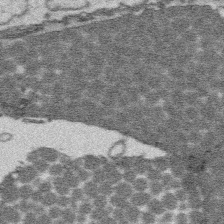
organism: Platynereis dumerilii